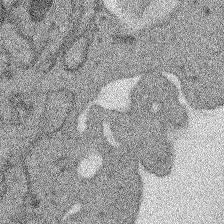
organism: Human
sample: HeLa cells